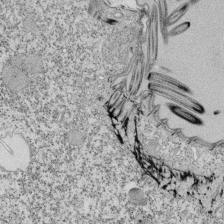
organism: Tetrahymena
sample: Cilia in tetrahymena